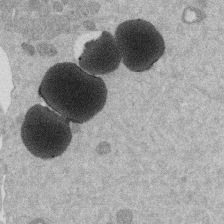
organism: Mouse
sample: Dividing mouse embryo 1 cell stage